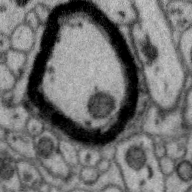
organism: Zebra finch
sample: Brain